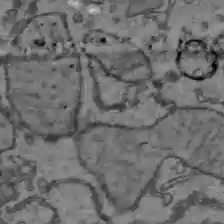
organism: C57BL Mouse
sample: Liver